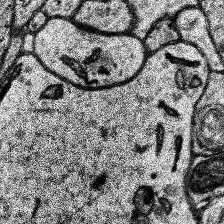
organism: Human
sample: Temporal Lobe